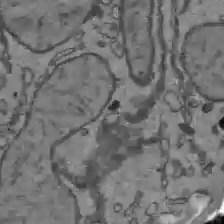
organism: C57BL Mouse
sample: Liver